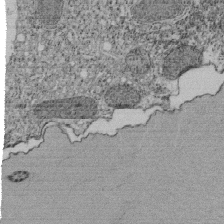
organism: Tetrahymena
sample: Cilia in tetrahymena